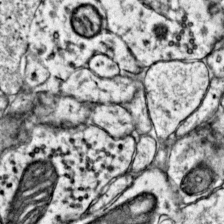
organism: Mouse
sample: Primary visual cortex